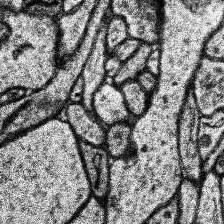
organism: Human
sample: Temporal Lobe